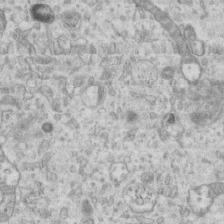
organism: Mouse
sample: Centriole in ependymal cells